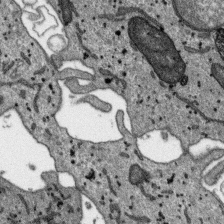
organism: Human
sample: Lung epithelial cells, uninfected (mock) control